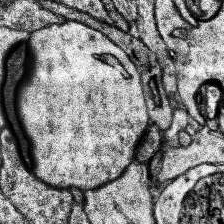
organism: Human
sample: Temporal Lobe